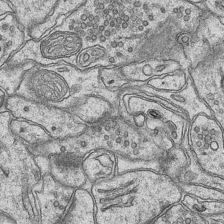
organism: Mouse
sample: CA1 Hippocampus